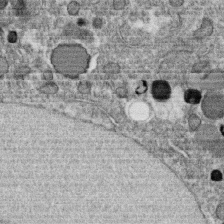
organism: C. elegans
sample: C. elegans oocyte; sperm cells